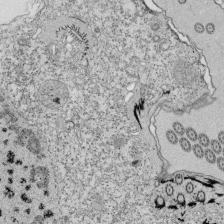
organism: Tetrahymena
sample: Cilia in tetrahymena